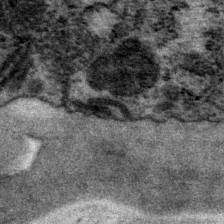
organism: P. pacificus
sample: Pharynx